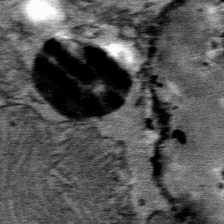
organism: Mouse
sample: Mouse Salivary gland